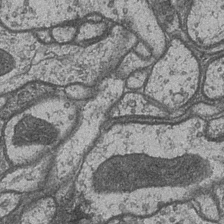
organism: Drosophila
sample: Optic medulla